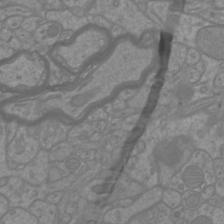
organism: Mouse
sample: Cortical neurons